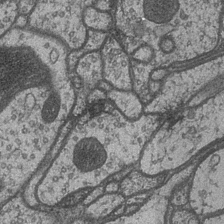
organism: Drosophila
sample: Optic medulla